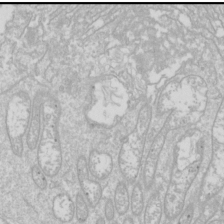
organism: Drosophila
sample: Cell division; meiosis; drosophila spermatocytes